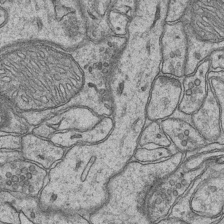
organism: Mouse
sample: CA1 Hippocampus